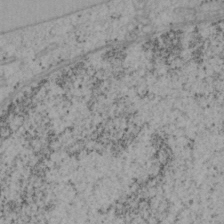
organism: Human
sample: HeLa cells